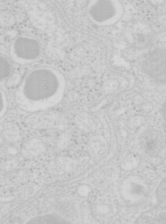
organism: Mouse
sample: Pancreas